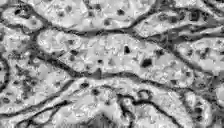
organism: Zebrafish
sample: Brain